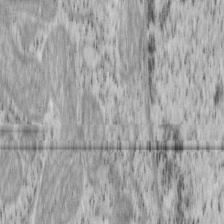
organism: Human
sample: HeLa cells